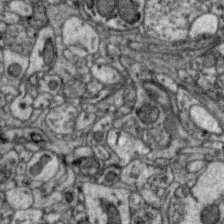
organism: Zebra finch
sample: Brain